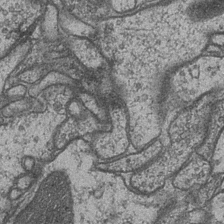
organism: Drosophila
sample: Optic medulla